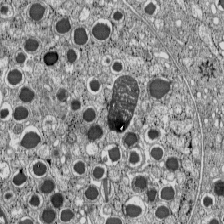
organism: C57BL Mouse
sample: Pancreatic islet